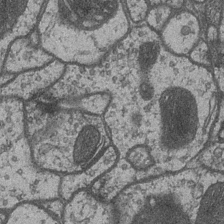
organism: Drosophila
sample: Optic medulla